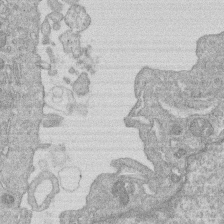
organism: Human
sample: Macrophage cells